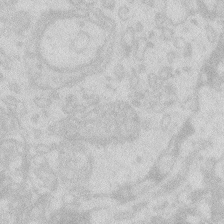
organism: Zebrafish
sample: Macrophage